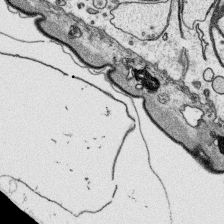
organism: Platynereis dumerilii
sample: Parapodia